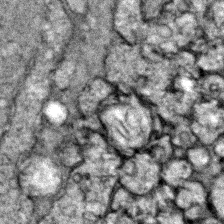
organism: Zebrafish